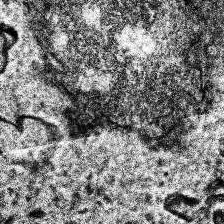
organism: Human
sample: Temporal Lobe